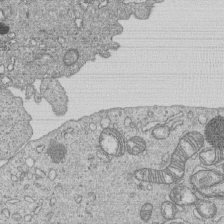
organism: Human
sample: MDA-MB-231 cells